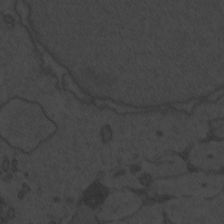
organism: Zebrafish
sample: Macrophage infected with Toxoplasma gondii